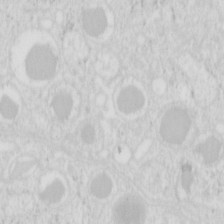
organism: Mouse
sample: Pancreas